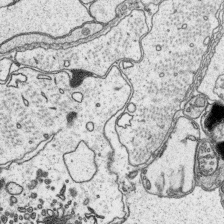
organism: Platynereis dumerilii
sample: Parapodia